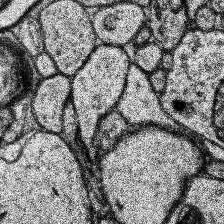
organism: Human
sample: Temporal Lobe